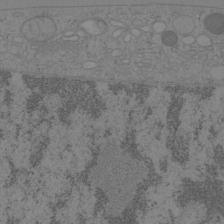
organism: Human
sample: HeLa cells